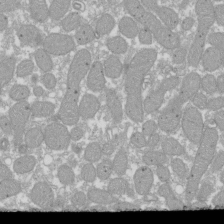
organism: Xenopus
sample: Cilia; centrioles in frog embryo cells